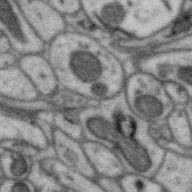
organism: Zebra finch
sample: Brain